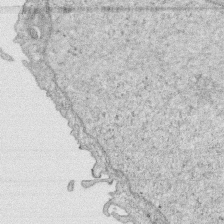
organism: Human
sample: HeLa cell HIV synapse